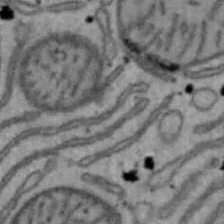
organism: Mouse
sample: Liver